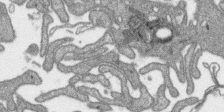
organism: Human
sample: Lung epithelial cells infected with SARS-CoV-2